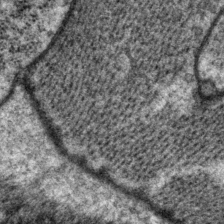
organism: P. pacificus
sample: Pharynx